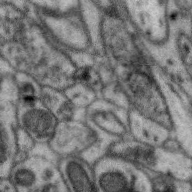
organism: Zebra finch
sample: Brain